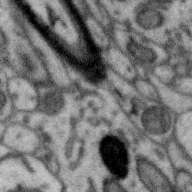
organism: Zebra finch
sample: Brain